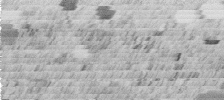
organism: C. elegans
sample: C. elegans embryo early stage